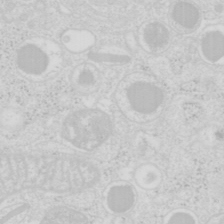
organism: Mouse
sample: Pancreas